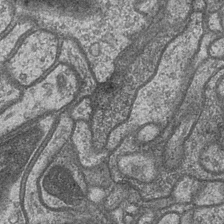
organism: Drosophila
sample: Optic medulla